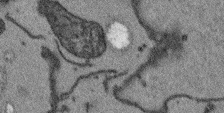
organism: Arabidopsis thaliana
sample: Root tip